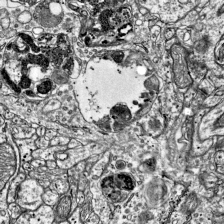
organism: Mouse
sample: Visual Cortex